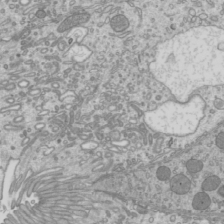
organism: Mouse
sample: Cilia; mouse epididymis